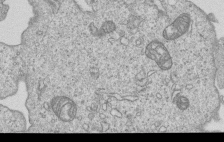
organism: Human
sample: MDA-MB-231 cells